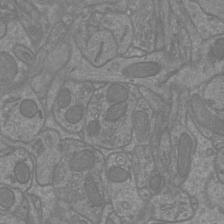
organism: Mouse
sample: Cortical neurons